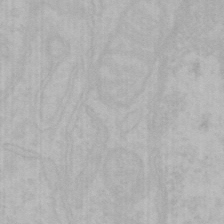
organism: Mouse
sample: Choroid plexus